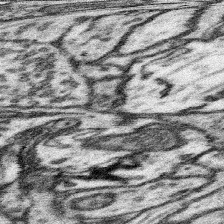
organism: Mouse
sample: Somatosensory cortex neuropil